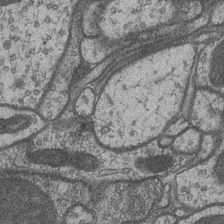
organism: Drosophila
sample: Optic medulla